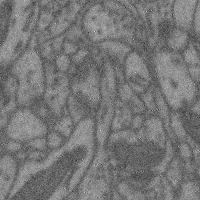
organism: Mouse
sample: Cerebral cortex